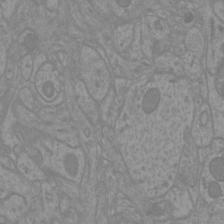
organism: Mouse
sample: Cortical neurons